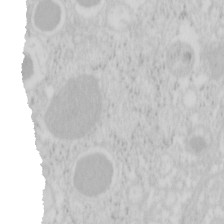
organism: Mouse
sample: Pancreas